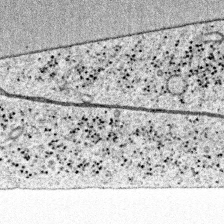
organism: Human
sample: HeLa cells